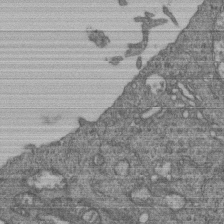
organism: Human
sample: Retinal organoid Rod and Cone cells